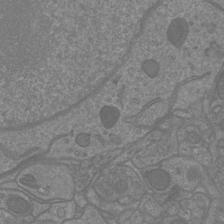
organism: Mouse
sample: Cortical neurons